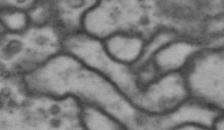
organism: Drosophila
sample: Brain